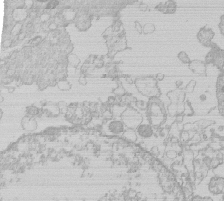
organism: Human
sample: Macrophage cells